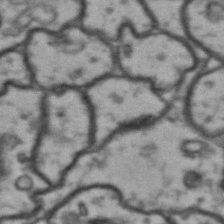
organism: Drosophila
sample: Brain